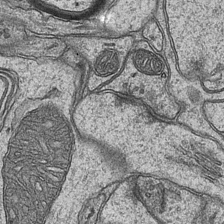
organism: Mouse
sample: CA1 Hippocampus